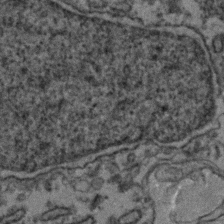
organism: Zebrafish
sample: Zebrafish embryo